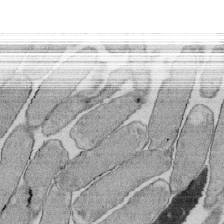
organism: E. coli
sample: Bacterial nucleoid